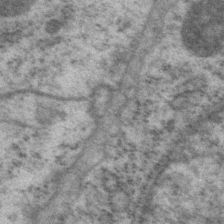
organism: P. pacificus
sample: Pharynx